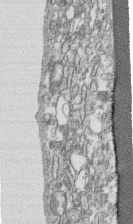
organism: Human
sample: CRL-1474